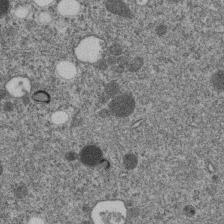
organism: C. elegans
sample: C. elegans embryo early stage